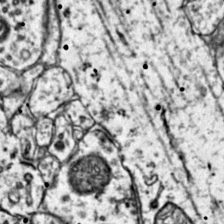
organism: Mouse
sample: Primary visual cortex